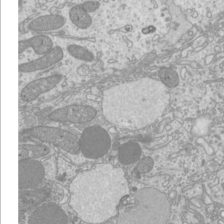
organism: Mouse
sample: Cilia; mouse epididymis